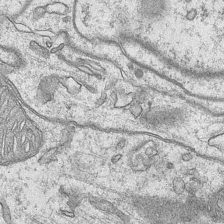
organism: Mouse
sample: CA1 Hippocampus